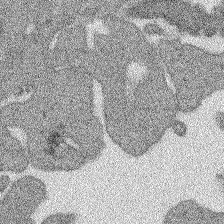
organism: Human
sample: HeLa cells